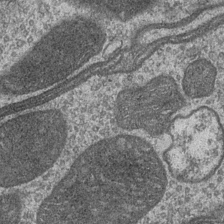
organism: Drosophila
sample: Optic medulla